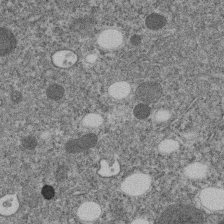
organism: C. elegans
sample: C. elegans embryo early stage